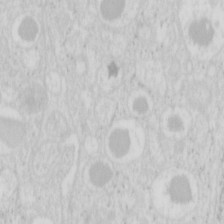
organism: Mouse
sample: Pancreas